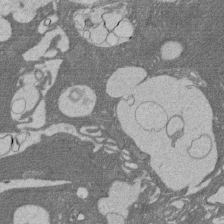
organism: Rat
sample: Salivary granule